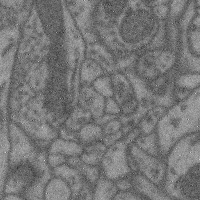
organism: Mouse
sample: Cerebral cortex